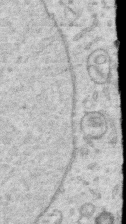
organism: Human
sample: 1205lu cells